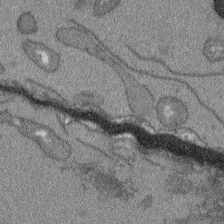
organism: Arabidopsis thaliana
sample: Root tip